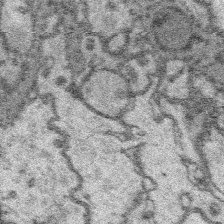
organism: Platynereis dumerilii